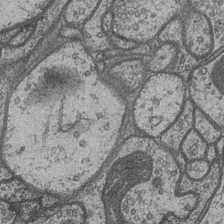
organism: Drosophila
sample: Optic medulla